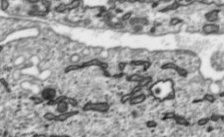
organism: Toxoplasma gondii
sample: Parasites in a vacuole inside a host cell